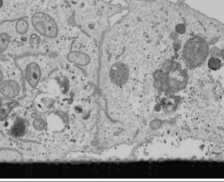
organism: Human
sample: Mitochondria in U2OS cells